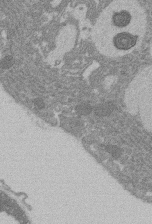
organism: Rat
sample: Salivary granule